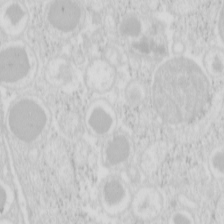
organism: Mouse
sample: Pancreas